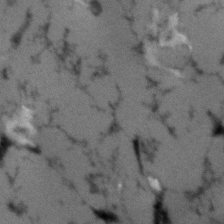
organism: Human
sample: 1205lu cells